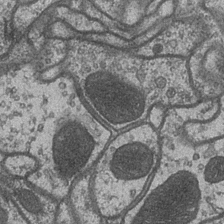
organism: Drosophila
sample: Optic medulla